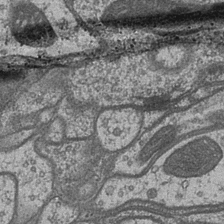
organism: Drosophila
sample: Optic medulla